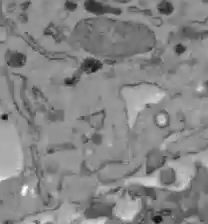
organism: C57BL Mouse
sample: Liver